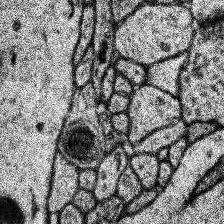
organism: Human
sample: Temporal Lobe